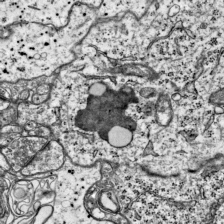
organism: Mouse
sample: Visual Cortex